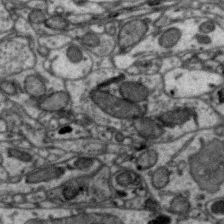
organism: Zebra finch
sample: Brain